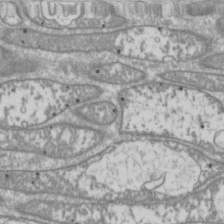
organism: Drosophila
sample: Cell division; meiosis; drosophila spermatocytes